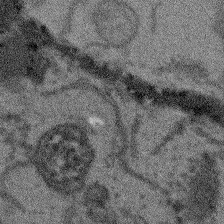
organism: Arabidopsis thaliana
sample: Root tip